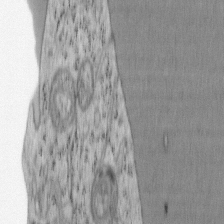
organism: Human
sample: HeLa cells